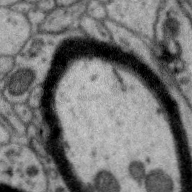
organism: Zebra finch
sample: Brain